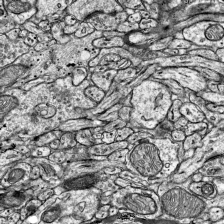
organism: Mouse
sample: Visual Cortex